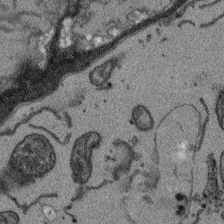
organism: Arabidopsis thaliana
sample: Root tip